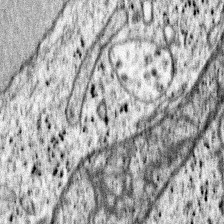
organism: Human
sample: HeLa cells